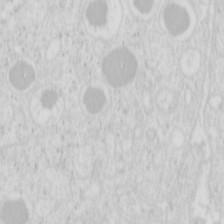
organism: Mouse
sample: Pancreas